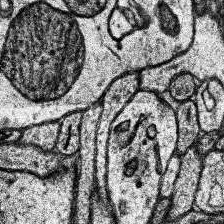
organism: Human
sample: Temporal Lobe